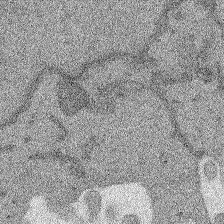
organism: Human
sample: HeLa cells